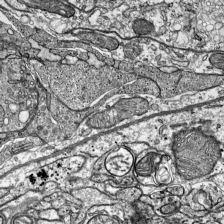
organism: Mouse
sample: Visual Cortex